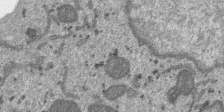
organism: Human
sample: Lung epithelial cells infected with SARS-CoV-2